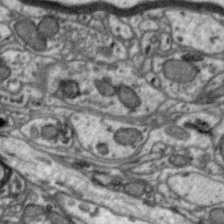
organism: Zebra finch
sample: Brain